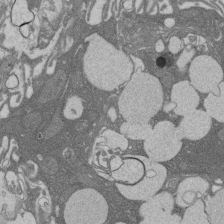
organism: Rat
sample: Salivary granule